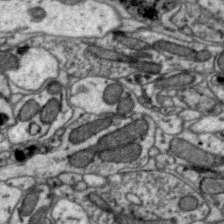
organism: Zebra finch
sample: Brain